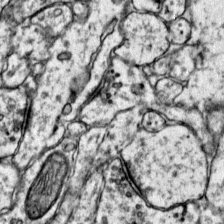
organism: Mouse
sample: Primary visual cortex